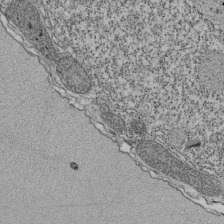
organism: Tetrahymena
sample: Cilia in tetrahymena